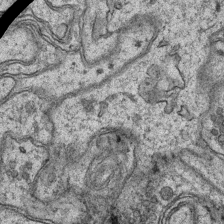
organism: Mouse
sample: CA1 Hippocampus